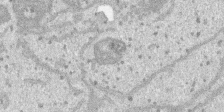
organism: Human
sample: Lung epithelial cells infected with SARS-CoV-2